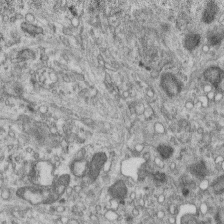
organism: Mouse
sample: Centriole in ependymal cells